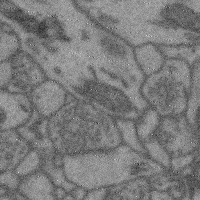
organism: Mouse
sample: Cerebral cortex